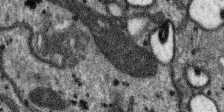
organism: Human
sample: Lung epithelial cells infected with SARS-CoV-2